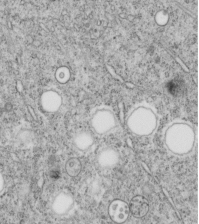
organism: C. elegans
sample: C. elegans embryo early stage